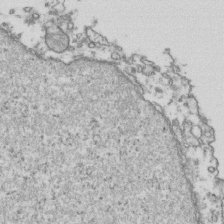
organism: Human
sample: Activated Jurkat CD4+ T cells